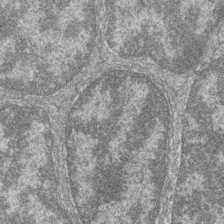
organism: Zebrafish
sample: Cilia; retinal pigment epithelium